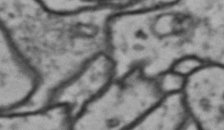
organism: Drosophila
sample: Brain